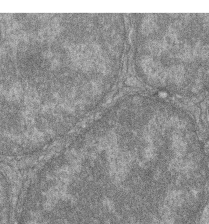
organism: Zebrafish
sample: Cilia; retinal pigment epithelium